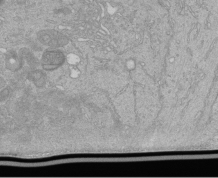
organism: Human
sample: Retinal organoid Rod and Cone cells